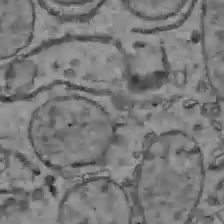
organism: C57BL Mouse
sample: Liver